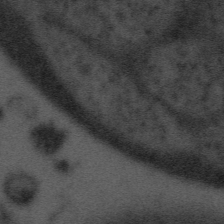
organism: Tuwongella immobilis